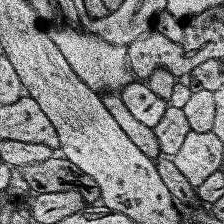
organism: Human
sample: Temporal Lobe